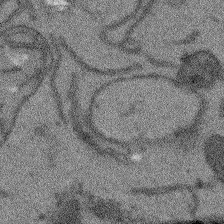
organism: Arabidopsis thaliana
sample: Root tip